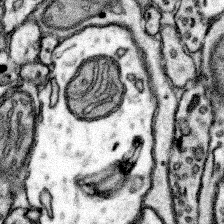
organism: Mouse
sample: Somatosensory cortex neuropil